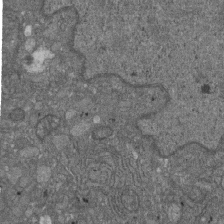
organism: Drosophila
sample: Nephrocyte